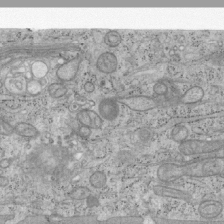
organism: Human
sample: HeLa cells